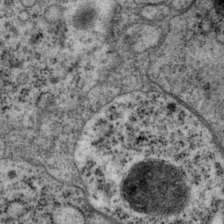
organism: P. pacificus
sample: Pharynx